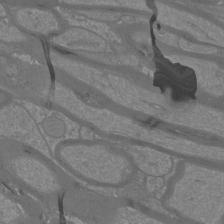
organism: Mouse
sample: Cortical neurons